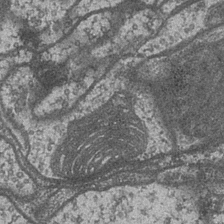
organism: Drosophila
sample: Optic medulla